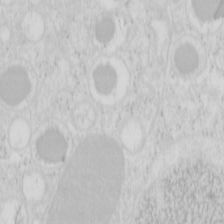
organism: Mouse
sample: Pancreas